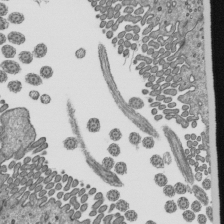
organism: Mouse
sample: Mouse epididymis efferent ductule cilia